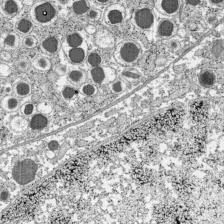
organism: C57BL Mouse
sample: Pancreatic islet